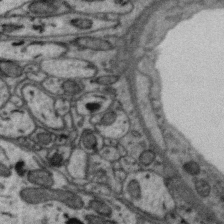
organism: Zebra finch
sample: Brain